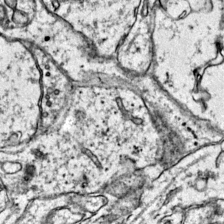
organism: Mouse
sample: Primary visual cortex